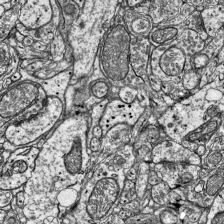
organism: Mouse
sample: Visual Cortex